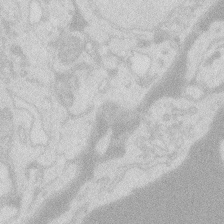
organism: Zebrafish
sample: Macrophage